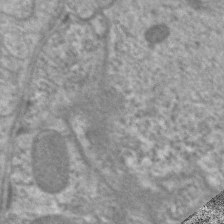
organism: C. elegans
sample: Pharynx